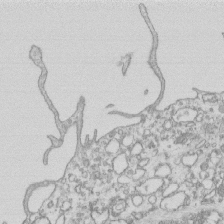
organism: Mouse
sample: Macrophages